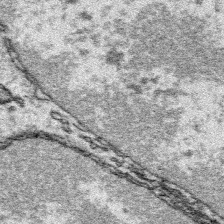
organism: Platynereis dumerilii